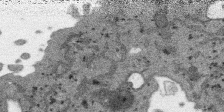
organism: Human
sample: Lung epithelial cells infected with SARS-CoV-2